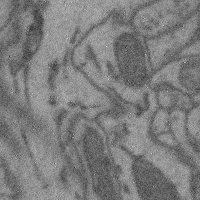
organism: Mouse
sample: Cerebral cortex